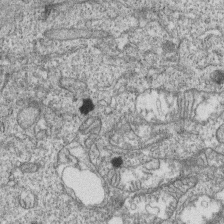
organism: Human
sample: HeLa cell HIV synapse